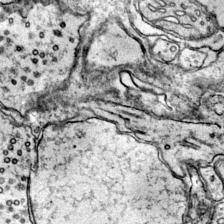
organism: Mouse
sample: Primary visual cortex